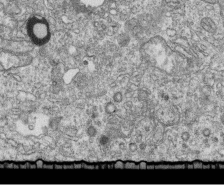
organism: Human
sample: HeLa cell HIV synapse